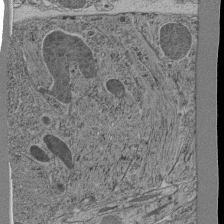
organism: C. elegans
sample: C. elegans pharynx